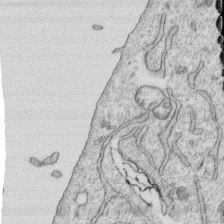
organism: Human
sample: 1205lu cells